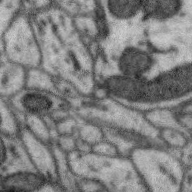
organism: Zebra finch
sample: Brain